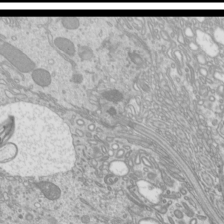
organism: Mouse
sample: Cilia; mouse epididymis